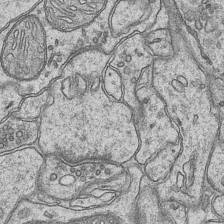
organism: Mouse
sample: CA1 Hippocampus